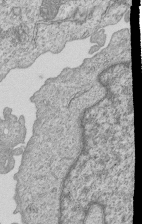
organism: Human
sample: MDA-MB-231 cells